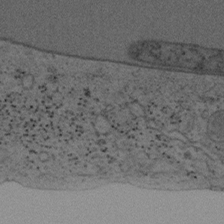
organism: Human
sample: HeLa cells